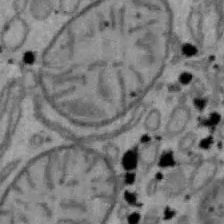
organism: Mouse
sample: Liver